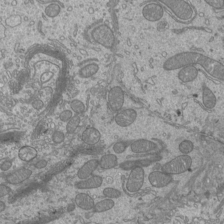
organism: Mouse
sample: Cilia; mouse epididymis